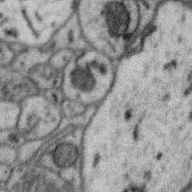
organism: Zebra finch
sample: Brain